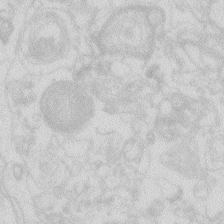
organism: Zebrafish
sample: Macrophage